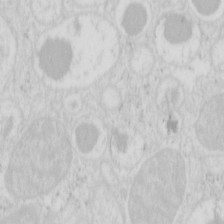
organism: Mouse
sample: Pancreas